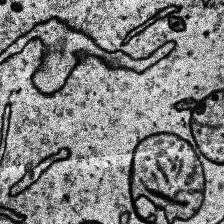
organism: Human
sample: Temporal Lobe